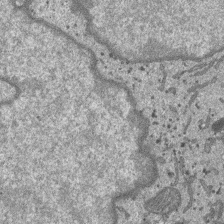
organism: Human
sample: Lung epithelial cells infected with SARS-CoV-2